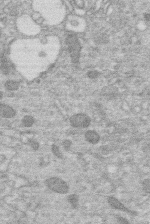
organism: Human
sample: Macrophage cells